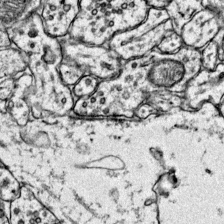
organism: Mouse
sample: Primary visual cortex